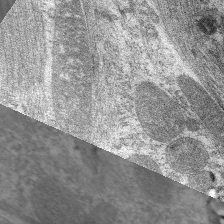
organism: C. elegans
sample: Pharynx